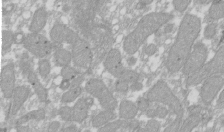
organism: Xenopus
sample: Cilia; centrioles in frog embryo cells